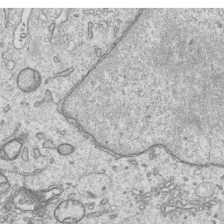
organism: Human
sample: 1205lu cells